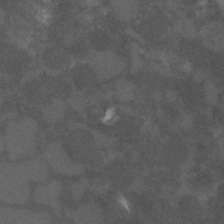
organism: C. elegans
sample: C. elegans embryo